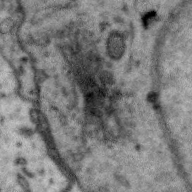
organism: Zebra finch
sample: Brain